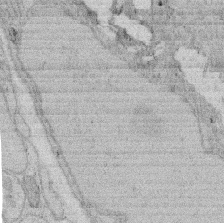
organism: Rat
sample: Salivary granule